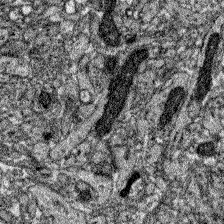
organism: Zebrafish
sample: Larval olfactory bulb